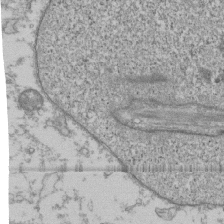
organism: Human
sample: Fibroblast cells